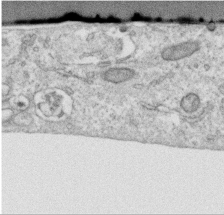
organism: Human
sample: Centriole in RPE cells